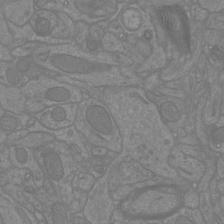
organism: Mouse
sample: Cortical neurons